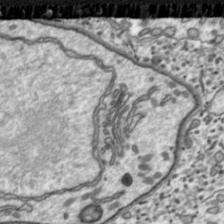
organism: Toxoplasma gondii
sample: Parasites in a vacuole inside a host cell